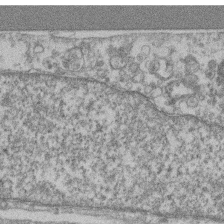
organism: Mouse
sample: T cell stromal cell synapse